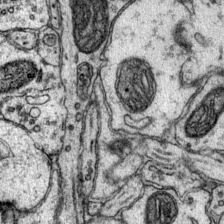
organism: Mouse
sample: Primary visual cortex